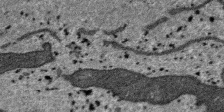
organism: Human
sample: Lung epithelial cells, uninfected (mock) control